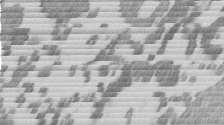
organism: Mouse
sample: Dividing mouse embryo 1 cell stage